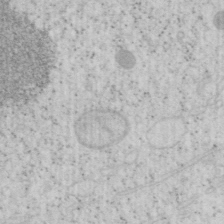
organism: Human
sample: HeLa cells